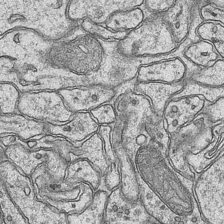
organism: Mouse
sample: CA1 Hippocampus